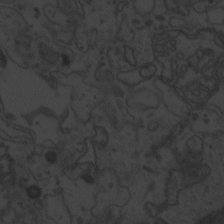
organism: Zebrafish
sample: Macrophage infected with Toxoplasma gondii